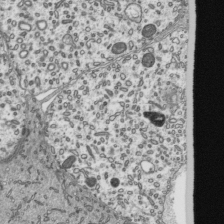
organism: Mouse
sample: Mouse epididymis efferent ductule cilia